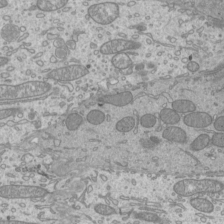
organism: Mouse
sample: Cilia; mouse epididymis